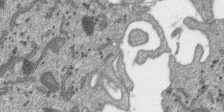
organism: Human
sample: Lung epithelial cells infected with SARS-CoV-2